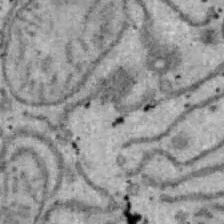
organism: Mouse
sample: Liver from an obese (ob/ob) mouse